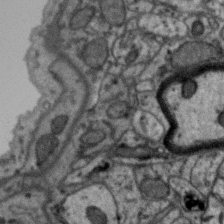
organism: Zebra finch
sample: Brain